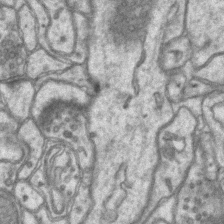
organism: Mouse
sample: CA1 Hippocampus